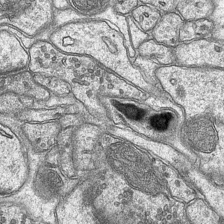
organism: Mouse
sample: CA1 Hippocampus